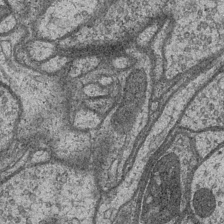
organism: Drosophila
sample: Optic medulla